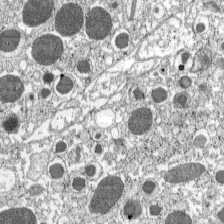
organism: C57BL Mouse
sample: Pancreatic islet